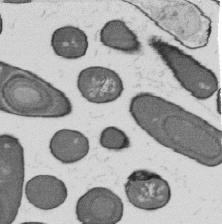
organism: B. subtilis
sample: Bacterial spore